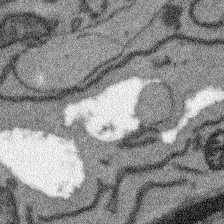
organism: Arabidopsis thaliana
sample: Root tip